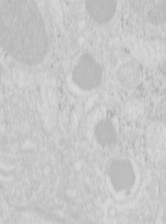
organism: Mouse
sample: Pancreas